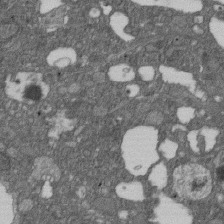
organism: Drosophila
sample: Nephrocyte